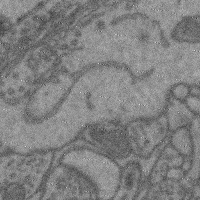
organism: Mouse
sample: Cerebral cortex